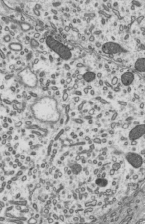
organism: Mouse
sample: Mouse epididymis efferent ductule cilia